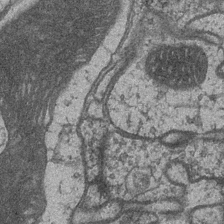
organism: Drosophila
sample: Optic medulla